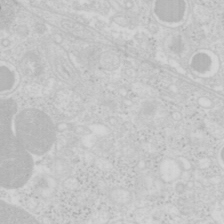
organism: Mouse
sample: Pancreas